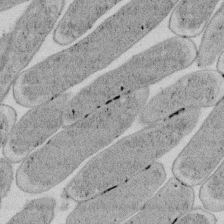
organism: E. coli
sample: Bacterial nucleoid